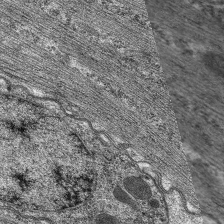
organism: C. elegans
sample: Pharynx